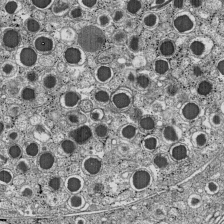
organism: C57BL Mouse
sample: Pancreatic islet